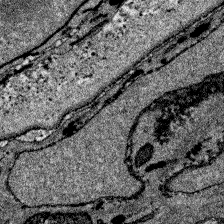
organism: Zebrafish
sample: Larval olfactory bulb